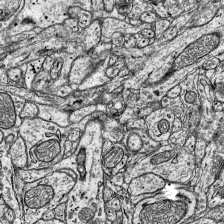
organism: Mouse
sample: Visual Cortex